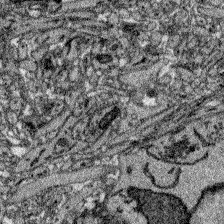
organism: Zebrafish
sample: Larval olfactory bulb